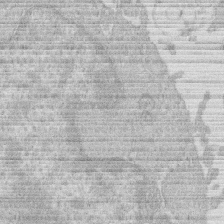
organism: Human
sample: Macrophage cells